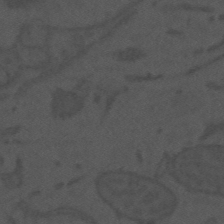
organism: Mouse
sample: Suprachiasmatic nucleus